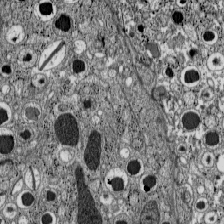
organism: C57BL Mouse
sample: Pancreatic islet